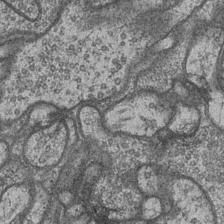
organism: Drosophila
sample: Optic medulla